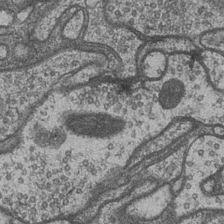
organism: Drosophila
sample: Optic medulla